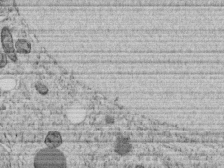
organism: C. elegans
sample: C. elegans embryo early stage